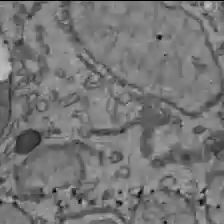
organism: C57BL Mouse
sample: Liver